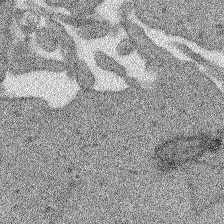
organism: Human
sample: HeLa cells